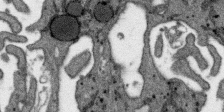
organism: Human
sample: Lung epithelial cells, uninfected (mock) control